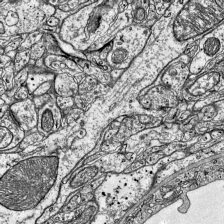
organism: Mouse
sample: Visual Cortex